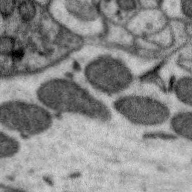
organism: Zebra finch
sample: Brain